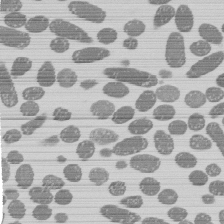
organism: E. coli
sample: Bacterial nucleoid